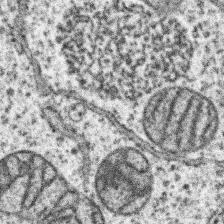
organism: Human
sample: HeLa cells